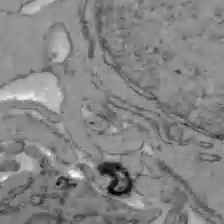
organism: C57BL Mouse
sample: Liver